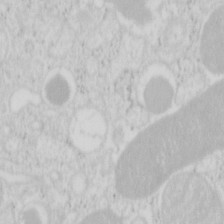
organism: Mouse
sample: Pancreas